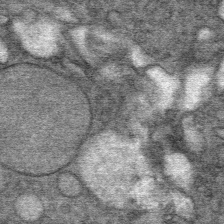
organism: Mouse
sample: Mouse Salivary gland